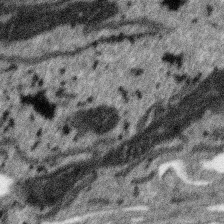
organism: Human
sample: Lung epithelial cells infected with SARS-CoV-2